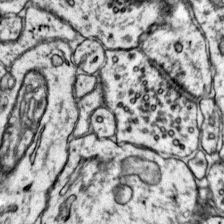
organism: Mouse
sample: Primary visual cortex